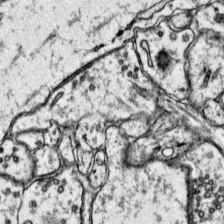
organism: Mouse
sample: Primary visual cortex